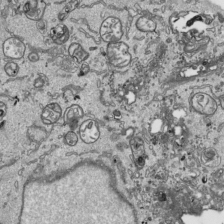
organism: Human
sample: Mitochondria in HCT116 cells